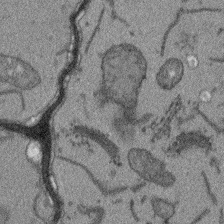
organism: Arabidopsis thaliana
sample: Root tip